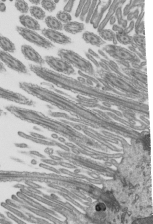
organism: Mouse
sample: Mouse epididymis efferent ductule cilia